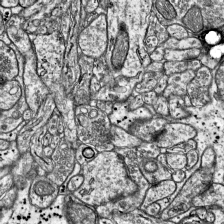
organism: Mouse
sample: Visual Cortex